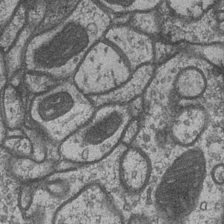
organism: Drosophila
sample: Optic medulla